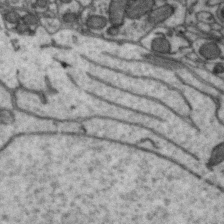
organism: Zebra finch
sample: Brain